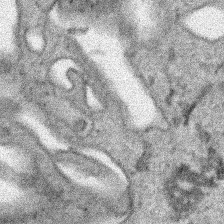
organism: Human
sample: Mitochondria in HCT116 cells